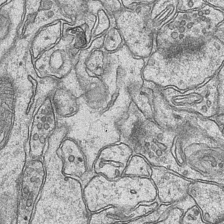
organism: Mouse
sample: CA1 Hippocampus